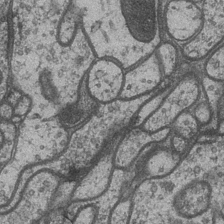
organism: Drosophila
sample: Optic medulla